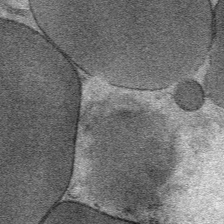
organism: Mouse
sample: Mouse Salivary gland